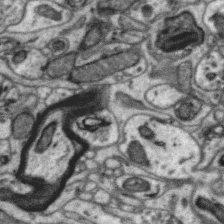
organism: Zebra finch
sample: Brain